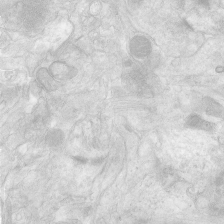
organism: Human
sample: Neocortex